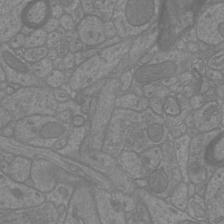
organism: Mouse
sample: Cortical neurons